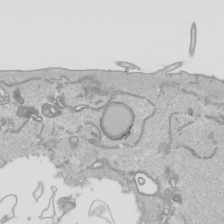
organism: Human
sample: Mitochondria in HCT116 cells